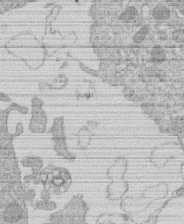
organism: Human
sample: Macrophage cells